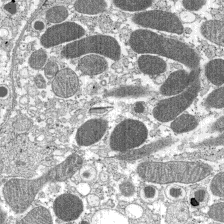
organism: C57BL Mouse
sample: Pancreatic islet